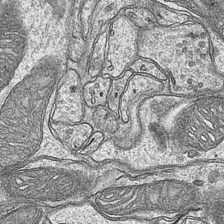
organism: Mouse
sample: CA1 Hippocampus